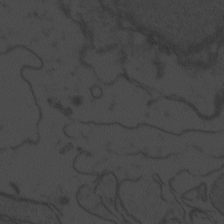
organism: Zebrafish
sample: Macrophage infected with Toxoplasma gondii